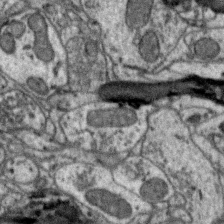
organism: Zebra finch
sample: Brain